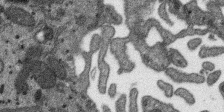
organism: Human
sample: Lung epithelial cells infected with SARS-CoV-2